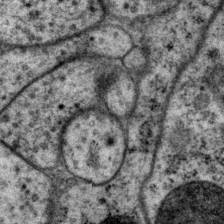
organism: P. pacificus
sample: Pharynx